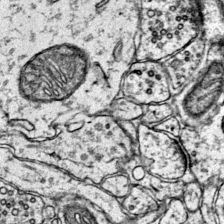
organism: Mouse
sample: Primary visual cortex